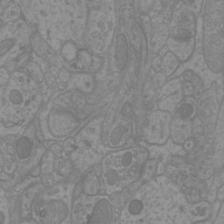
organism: Mouse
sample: Cortical neurons